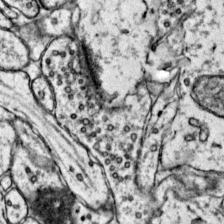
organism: Mouse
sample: Primary visual cortex